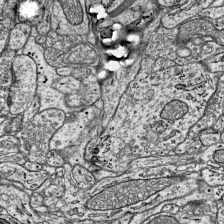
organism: Mouse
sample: Visual Cortex